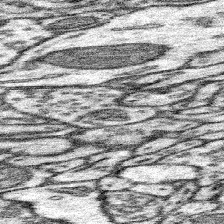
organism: Mouse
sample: Somatosensory cortex neuropil